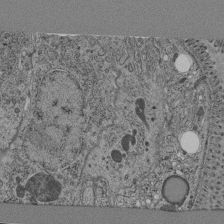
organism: C. elegans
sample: C. elegans pharynx